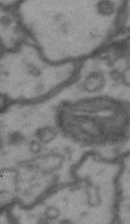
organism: Drosophila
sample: Brain